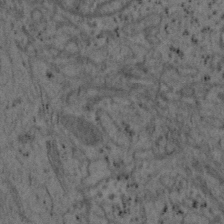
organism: Human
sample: HeLa cells